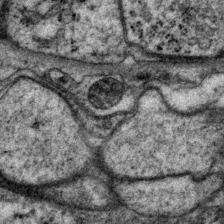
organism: P. pacificus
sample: Pharynx